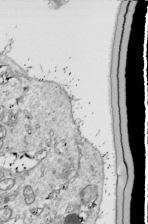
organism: Drosophila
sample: Cell division; meiosis; drosophila spermatocytes